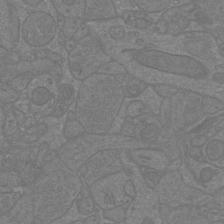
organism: Mouse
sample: Cortical neurons